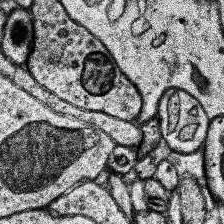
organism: Human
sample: Temporal Lobe